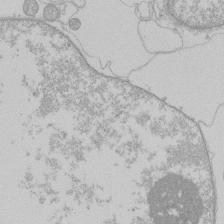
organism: Human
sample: Macrophage cells